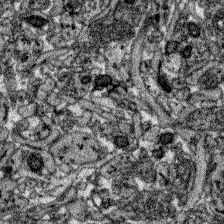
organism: Zebrafish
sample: Larval olfactory bulb